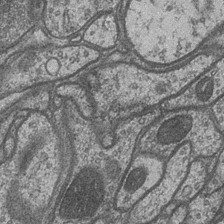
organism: Drosophila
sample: Optic medulla